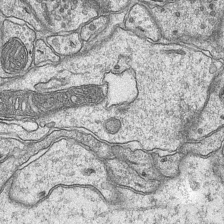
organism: Mouse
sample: CA1 Hippocampus